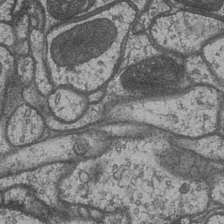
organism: Drosophila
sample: Optic medulla